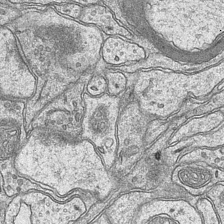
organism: Mouse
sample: CA1 Hippocampus